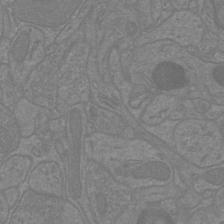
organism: Mouse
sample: Cortical neurons